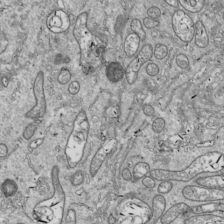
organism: Drosophila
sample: Cell division; meiosis; drosophila spermatocytes